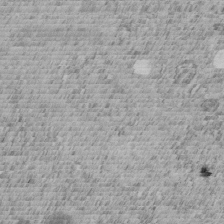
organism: C. elegans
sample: C. elegans embryo early stage